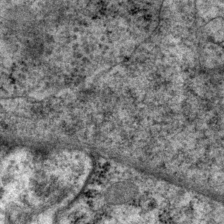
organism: P. pacificus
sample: Pharynx